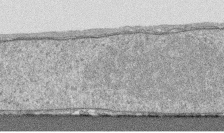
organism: Human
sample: CRL-1474